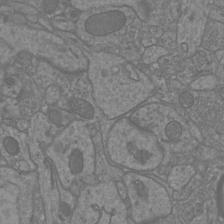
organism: Mouse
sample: Cortical neurons